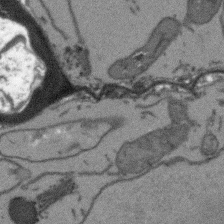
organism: Arabidopsis thaliana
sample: Root tip